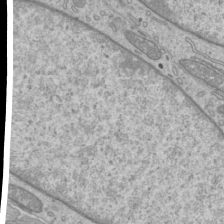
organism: Mouse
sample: Cilia; mouse epididymis